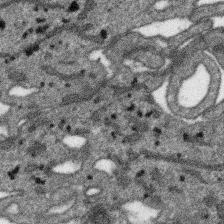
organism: Human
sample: Lung epithelial cells infected with SARS-CoV-2